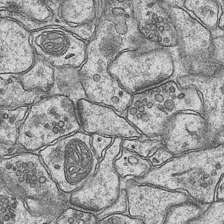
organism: Mouse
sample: CA1 Hippocampus